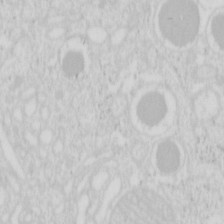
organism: Mouse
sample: Pancreas